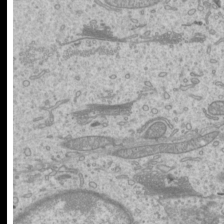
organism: Mouse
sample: Cilia; mouse epididymis